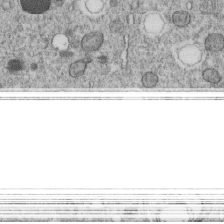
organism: C. elegans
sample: C. elegans embryo early stage